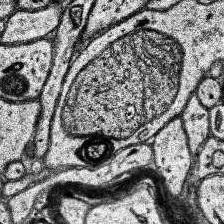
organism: Human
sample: Temporal Lobe